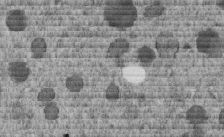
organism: C. elegans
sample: C. elegans embryo early stage